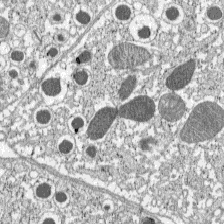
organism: C57BL Mouse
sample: Pancreatic islet